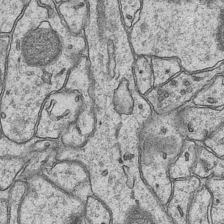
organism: Mouse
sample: CA1 Hippocampus